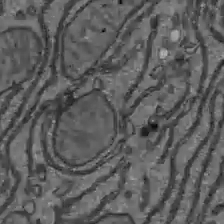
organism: C57BL Mouse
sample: Liver